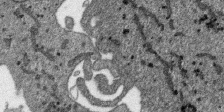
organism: Human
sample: Lung epithelial cells infected with SARS-CoV-2